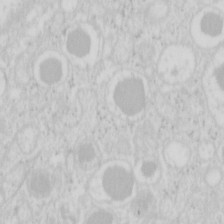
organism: Mouse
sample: Pancreas